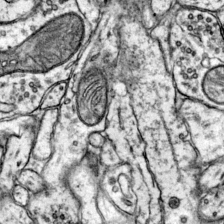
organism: Mouse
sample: Primary visual cortex